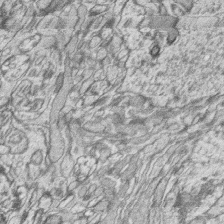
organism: Zebrafish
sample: synaptic ribbons in rod cells and cone cells